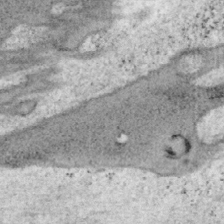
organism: Mouse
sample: OT-I killer T cells with ID8 ovarian cancer cells